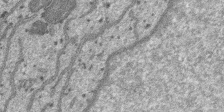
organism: Human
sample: Lung epithelial cells infected with SARS-CoV-2